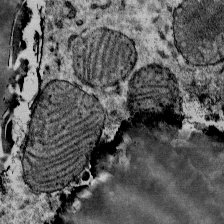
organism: Mouse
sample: Mouse Salivary gland